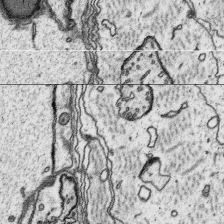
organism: Platynereis dumerilii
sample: Parapodia